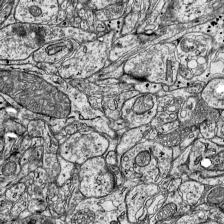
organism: Mouse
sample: Visual Cortex